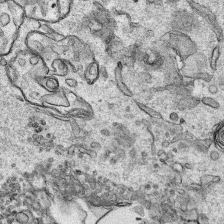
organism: Human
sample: Mitochondria in HCT116 cells